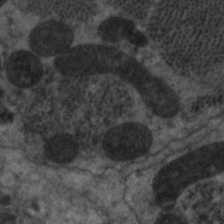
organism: C. elegans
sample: Pharynx